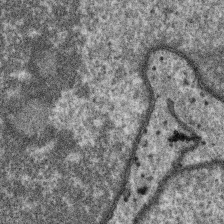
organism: Human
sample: Lung epithelial cells infected with SARS-CoV-2